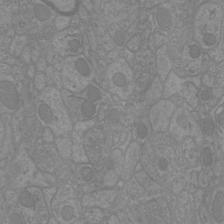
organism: Mouse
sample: Cortical neurons